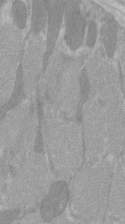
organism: C57BL Mouse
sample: Tibialis anterior muscle cell